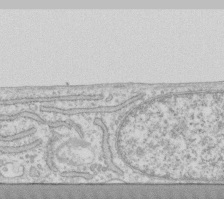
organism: Human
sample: Fibroblast cells